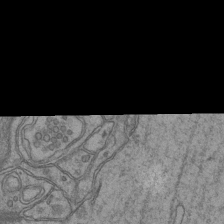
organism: Mouse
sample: CA1 Hippocampus